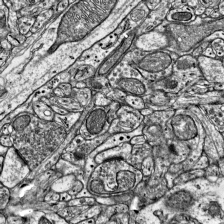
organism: Mouse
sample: Visual Cortex